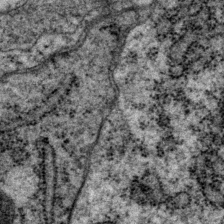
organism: P. pacificus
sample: Pharynx